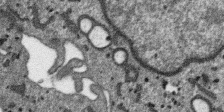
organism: Human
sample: Lung epithelial cells infected with SARS-CoV-2